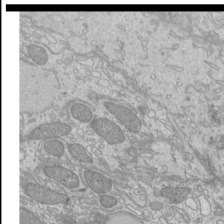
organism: Mouse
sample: Cilia; mouse epididymis